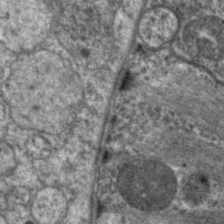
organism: C. elegans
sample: Pharynx